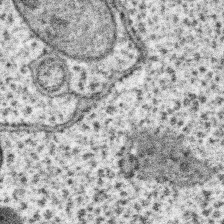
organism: Human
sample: HeLa cells